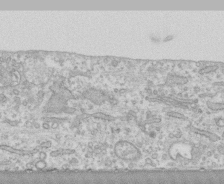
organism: Human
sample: CRL-1474